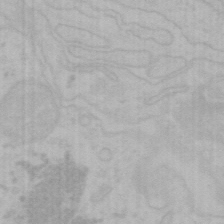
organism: Mouse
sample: Choroid plexus